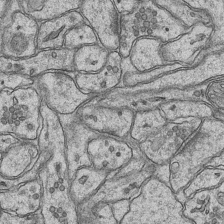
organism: Mouse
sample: CA1 Hippocampus